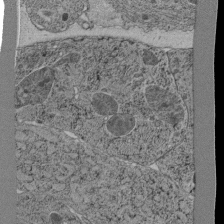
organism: C. elegans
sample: C. elegans pharynx